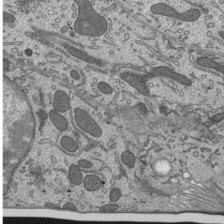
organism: Mouse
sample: Mouse epididymis efferent ductule cilia